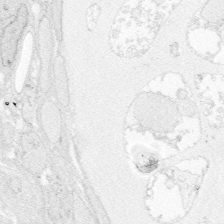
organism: Zebrafish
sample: Whole-Brain